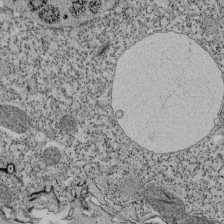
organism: Tetrahymena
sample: Cilia in tetrahymena